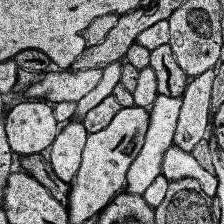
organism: Human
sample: Temporal Lobe